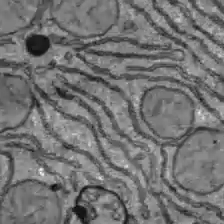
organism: C57BL Mouse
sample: Liver